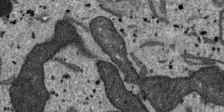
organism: Human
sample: Lung epithelial cells, uninfected (mock) control